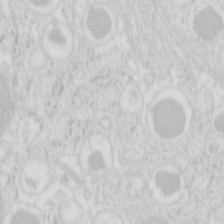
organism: Mouse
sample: Pancreas